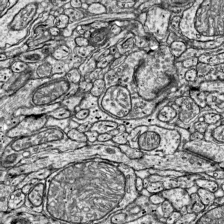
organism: Mouse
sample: Visual Cortex